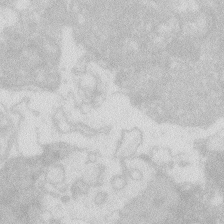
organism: Zebrafish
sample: Macrophage